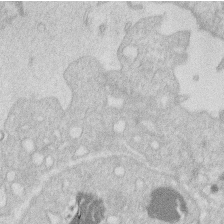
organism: Human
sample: Macrophage cells